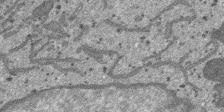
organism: Human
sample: Lung epithelial cells infected with SARS-CoV-2